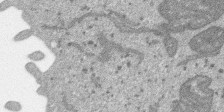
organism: Human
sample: Lung epithelial cells infected with SARS-CoV-2